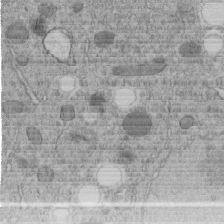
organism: C. elegans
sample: C. elegans embryo early stage